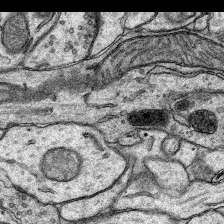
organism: Rat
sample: Hippocampus